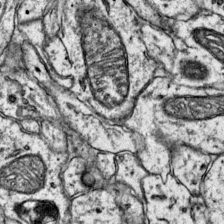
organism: Mouse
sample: Primary visual cortex